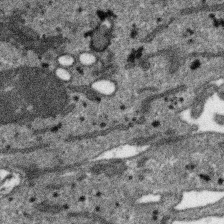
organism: Human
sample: Lung epithelial cells infected with SARS-CoV-2